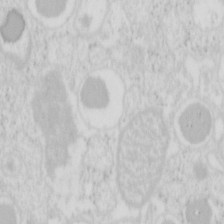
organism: Mouse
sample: Pancreas